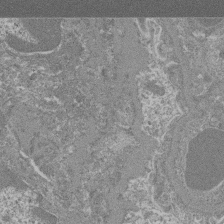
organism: Mouse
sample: Glomerulus